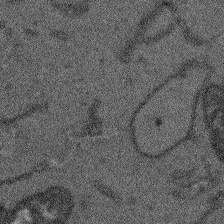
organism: Arabidopsis thaliana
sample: Root tip